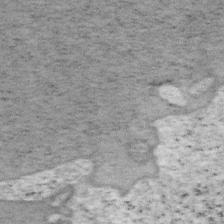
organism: Mouse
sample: OT-I killer T cells with ID8 ovarian cancer cells